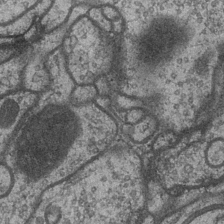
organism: Drosophila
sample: Optic medulla